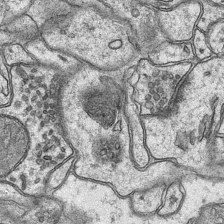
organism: Mouse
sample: CA1 Hippocampus